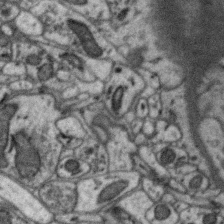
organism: Zebra finch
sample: Brain